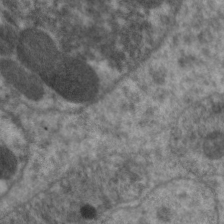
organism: C. elegans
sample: Pharynx